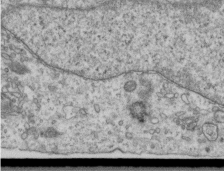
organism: Human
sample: Centriole in RPE cells